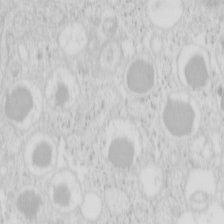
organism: Mouse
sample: Pancreas